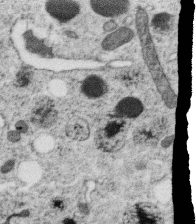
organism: C. elegans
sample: C. elegans oocyte; sperm cells